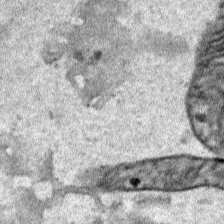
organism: Human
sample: Mitochondria in HCT116 cells